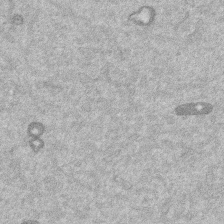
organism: Mouse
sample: Dividing mouse embryo 1 cell stage